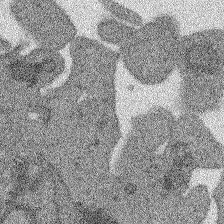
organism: Human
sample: HeLa cells